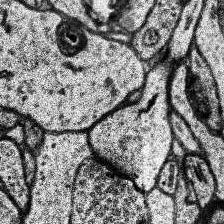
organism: Human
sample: Temporal Lobe